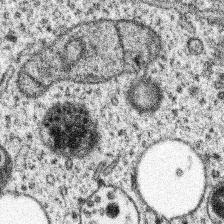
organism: Human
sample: HeLa cells